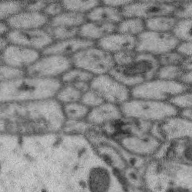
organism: Zebra finch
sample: Brain